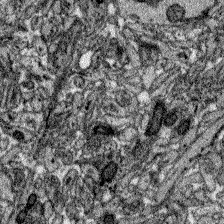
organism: Zebrafish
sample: Larval olfactory bulb